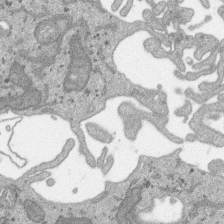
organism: Human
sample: Lung epithelial cells infected with SARS-CoV-2